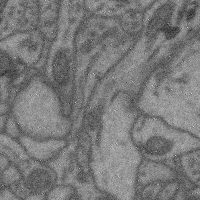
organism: Mouse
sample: Cerebral cortex